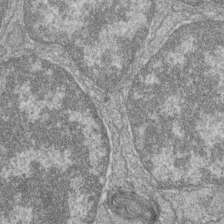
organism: Zebrafish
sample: Cilia; retinal pigment epithelium